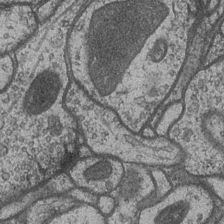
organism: Drosophila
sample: Optic medulla